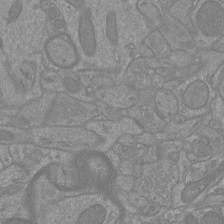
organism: Mouse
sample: Cortical neurons